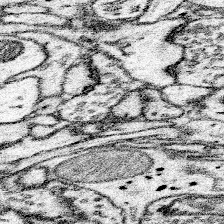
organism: Mouse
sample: Somatosensory cortex neuropil